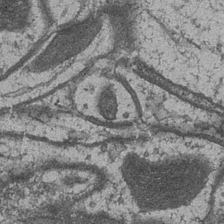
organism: Drosophila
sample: Optic medulla